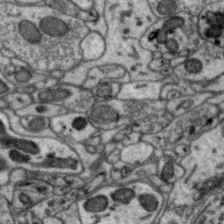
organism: Zebra finch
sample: Brain